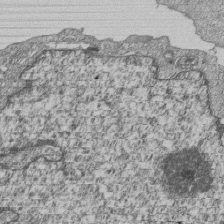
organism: Human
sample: MDA-MB-231 cells